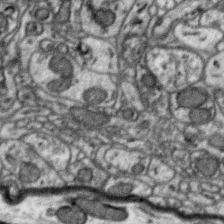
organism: Zebra finch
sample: Brain